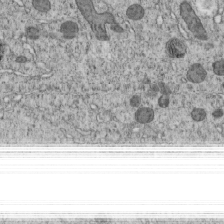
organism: C. elegans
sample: C. elegans embryo early stage